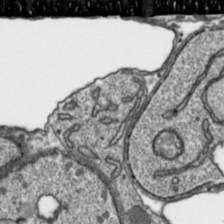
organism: Toxoplasma gondii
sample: Parasites in a vacuole inside a host cell